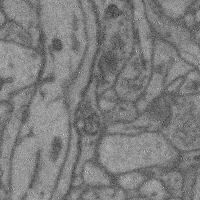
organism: Mouse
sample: Cerebral cortex